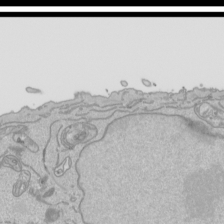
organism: Human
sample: Mitochondria in HCT116 cells